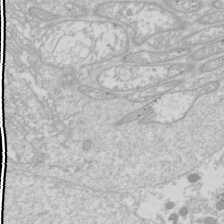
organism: Drosophila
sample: Cell division; meiosis; drosophila spermatocytes